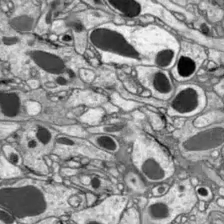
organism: Drosophila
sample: Optic lobe